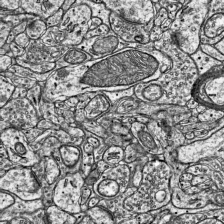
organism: Mouse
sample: Visual Cortex